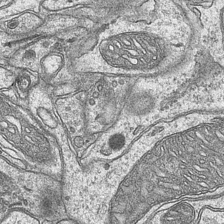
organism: Mouse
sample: CA1 Hippocampus